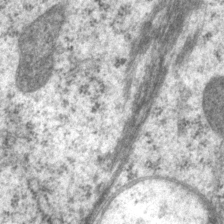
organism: P. pacificus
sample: Pharynx